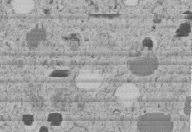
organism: C. elegans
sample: C. elegans embryo early stage